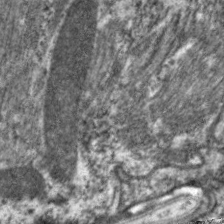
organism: C. elegans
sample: Pharynx